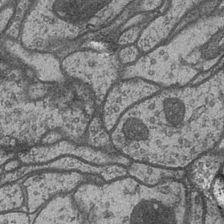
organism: Drosophila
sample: Optic medulla